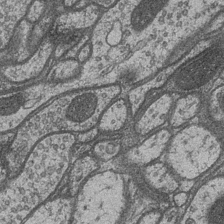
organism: Drosophila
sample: Optic medulla